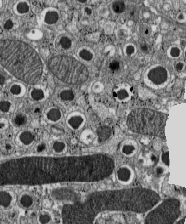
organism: C57BL Mouse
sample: Pancreatic islet